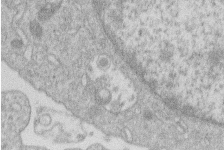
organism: Human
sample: Macrophage cells